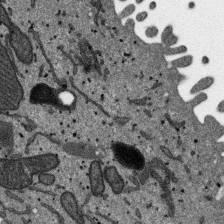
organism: Human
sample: Lung epithelial cells, uninfected (mock) control